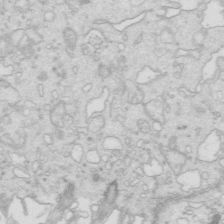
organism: Mouse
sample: Multiciliated cells